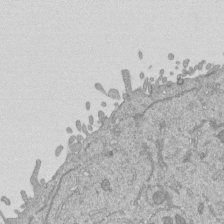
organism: Mouse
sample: ED-1 cell nuclei; centrioles